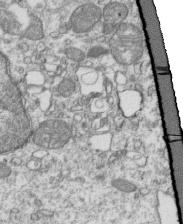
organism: Mouse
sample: Activated OT-1 CD8+ T cells